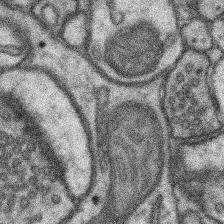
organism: Mouse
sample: Somatosensory cortex neuropil